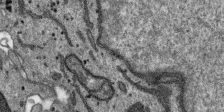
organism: Human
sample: Lung epithelial cells, uninfected (mock) control